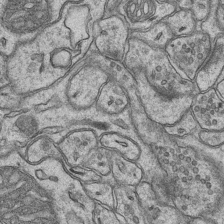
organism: Mouse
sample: CA1 Hippocampus